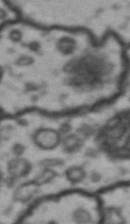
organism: Drosophila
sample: Brain